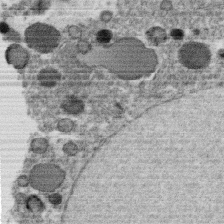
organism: C. elegans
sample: C. elegans oocyte; sperm cells